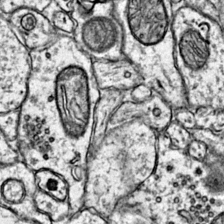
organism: Mouse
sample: Primary visual cortex